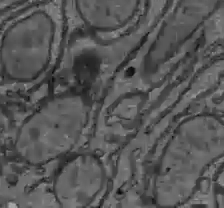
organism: C57BL Mouse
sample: Liver